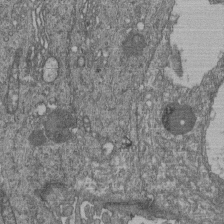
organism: Human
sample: Retinal organoid Rod and Cone cells